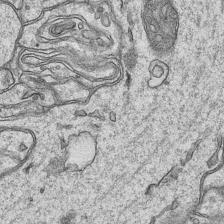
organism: Mouse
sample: CA1 Hippocampus